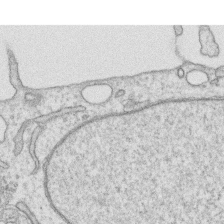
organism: Human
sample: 1205lu cells